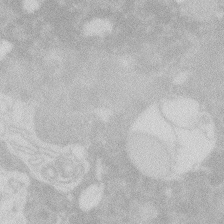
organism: Zebrafish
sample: Macrophage